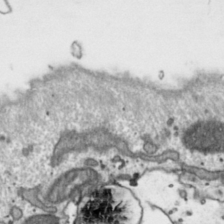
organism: Toxoplasma gondii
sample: Parasites in a vacuole inside a host cell